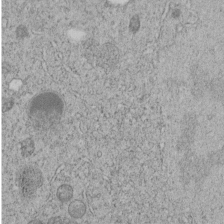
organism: C. elegans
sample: C. elegans embryo early stage